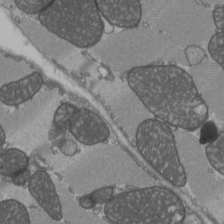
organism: C57BL Mouse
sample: Heart